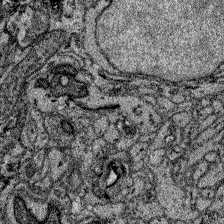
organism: Zebrafish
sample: Larval olfactory bulb